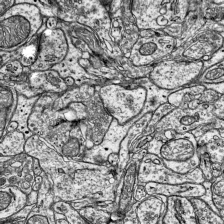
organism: Mouse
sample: Visual Cortex